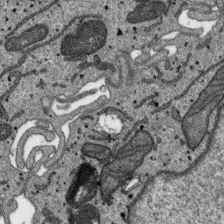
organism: Human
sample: Lung epithelial cells, uninfected (mock) control